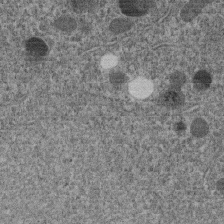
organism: C. elegans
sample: C. elegans embryo early stage